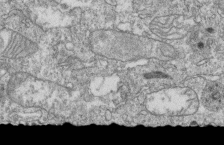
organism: Human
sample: HeLa cell HIV synapse